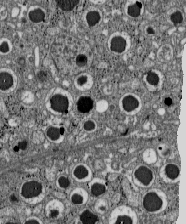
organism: C57BL Mouse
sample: Pancreatic islet